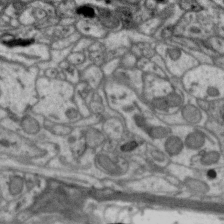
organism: Zebra finch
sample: Brain